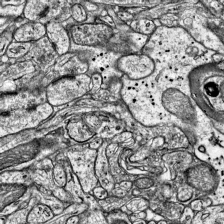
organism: Mouse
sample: Visual Cortex